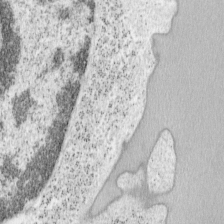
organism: Mouse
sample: OT-I killer T cells with ID8 ovarian cancer cells